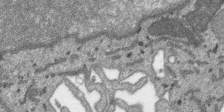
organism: Human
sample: Lung epithelial cells infected with SARS-CoV-2